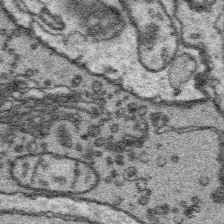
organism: Platynereis dumerilii